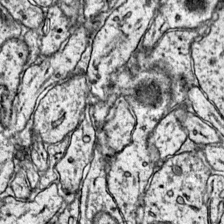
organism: Mouse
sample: Primary visual cortex